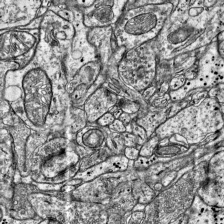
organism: Mouse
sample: Visual Cortex